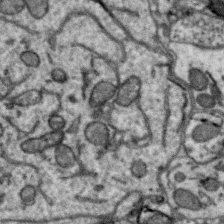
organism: Zebra finch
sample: Brain